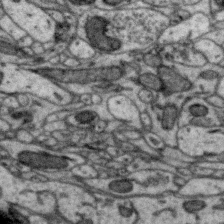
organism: Zebra finch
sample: Brain